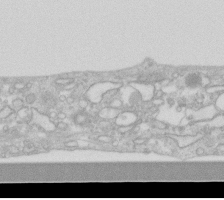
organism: Human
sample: Fibroblast cells